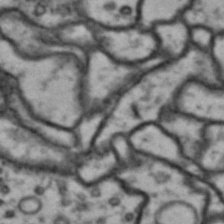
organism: Drosophila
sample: Brain